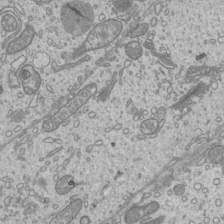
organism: Mouse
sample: Cilia; mouse epididymis